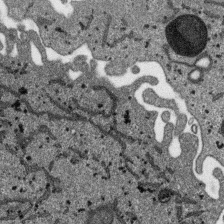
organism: Human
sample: Lung epithelial cells infected with SARS-CoV-2